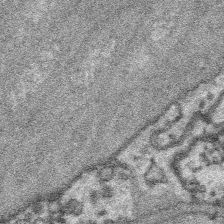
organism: Platynereis dumerilii